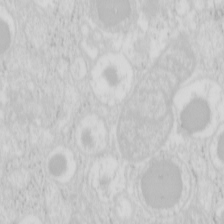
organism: Mouse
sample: Pancreas